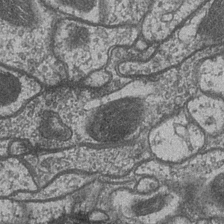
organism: Drosophila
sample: Optic medulla